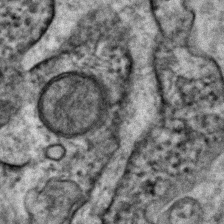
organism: Human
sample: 1205lu cells